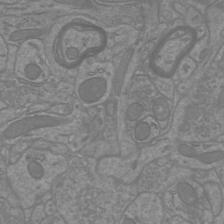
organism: Mouse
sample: Cortical neurons